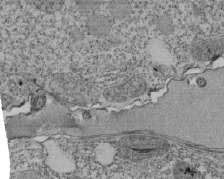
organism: Tetrahymena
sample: Cilia in tetrahymena